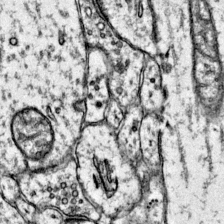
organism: Mouse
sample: Primary visual cortex